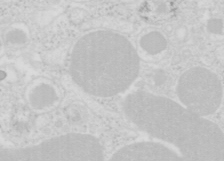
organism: Mouse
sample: Pancreas